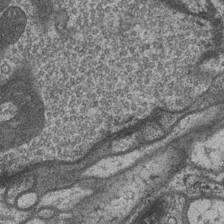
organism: Drosophila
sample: Optic medulla